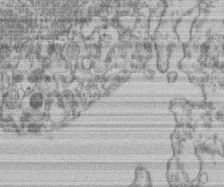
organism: Mouse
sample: T cell stromal cell synapse